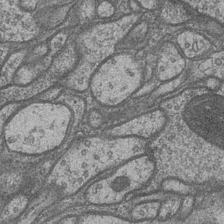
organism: Drosophila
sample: Optic medulla